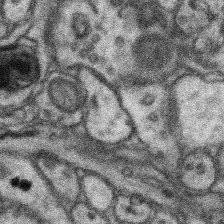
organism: Mouse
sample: Somatosensory cortex neuropil